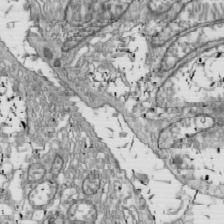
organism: Drosophila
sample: Cell division; meiosis; drosophila spermatocytes